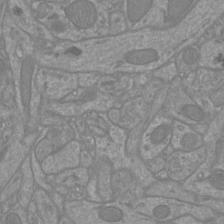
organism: Mouse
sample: Cortical neurons